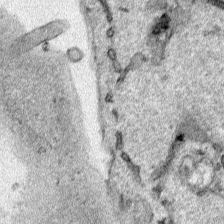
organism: Human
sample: Mitochondria in HCT116 cells